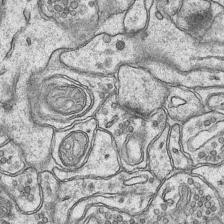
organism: Mouse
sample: CA1 Hippocampus